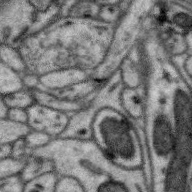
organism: Zebra finch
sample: Brain